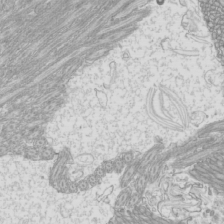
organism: Mouse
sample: Cilia; mouse epididymis